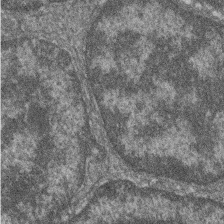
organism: Zebrafish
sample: Cilia; retinal pigment epithelium